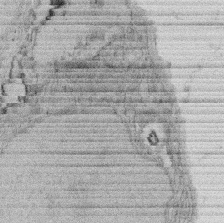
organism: Rat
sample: Salivary granule